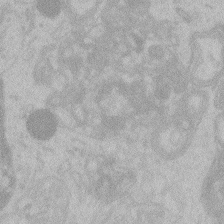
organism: Zebrafish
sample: Macrophage infected with Toxoplasma gondii